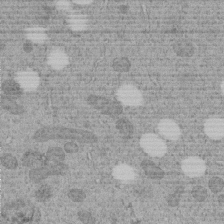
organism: C. elegans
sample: C. elegans embryo early stage